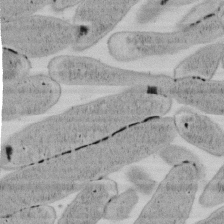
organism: E. coli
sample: Bacterial nucleoid